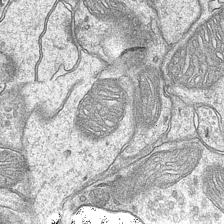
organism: Mouse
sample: CA1 Hippocampus